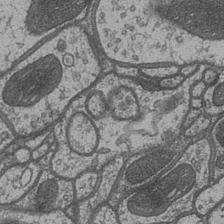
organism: Drosophila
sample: Optic medulla